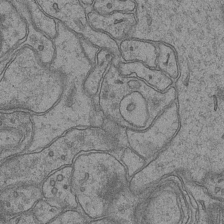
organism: Mouse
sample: CA1 Hippocampus